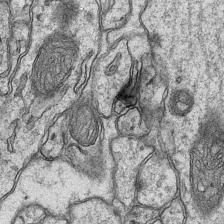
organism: Mouse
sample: CA1 Hippocampus